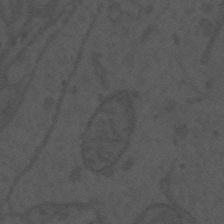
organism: Mouse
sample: Suprachiasmatic nucleus